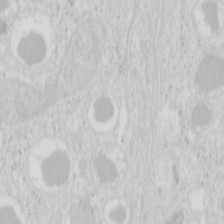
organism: Mouse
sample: Pancreas